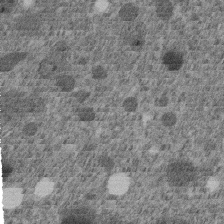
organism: C. elegans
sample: C. elegans embryo early stage